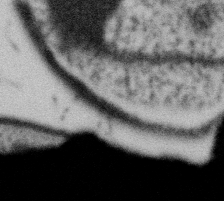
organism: Gemmata obscuriglobus